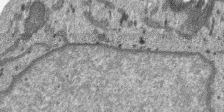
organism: Human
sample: Lung epithelial cells infected with SARS-CoV-2